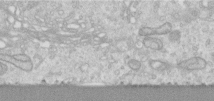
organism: Human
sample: Centriole in RPE cells